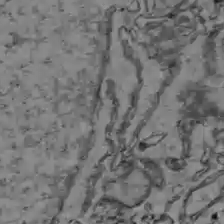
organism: C57BL Mouse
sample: Liver